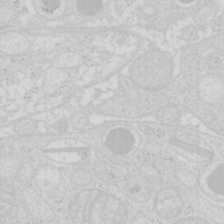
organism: Mouse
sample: Pancreas